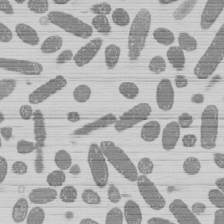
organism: E. coli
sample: Bacterial nucleoid